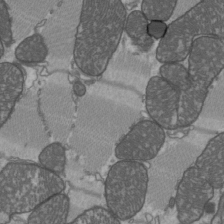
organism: C57BL Mouse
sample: Heart